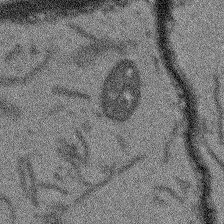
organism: Arabidopsis thaliana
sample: Root tip